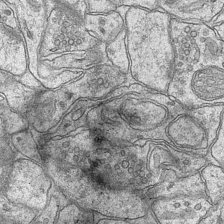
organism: Mouse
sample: CA1 Hippocampus